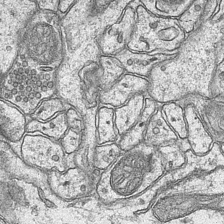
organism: Mouse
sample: CA1 Hippocampus